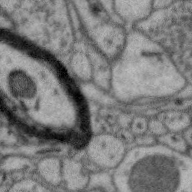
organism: Zebra finch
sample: Brain